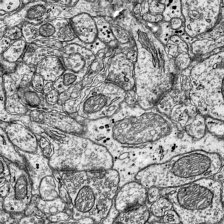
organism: Mouse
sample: Visual Cortex